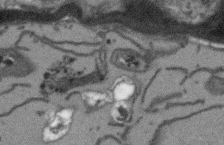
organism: Arabidopsis thaliana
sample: Root tip